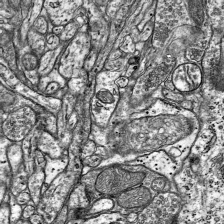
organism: Mouse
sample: Visual Cortex